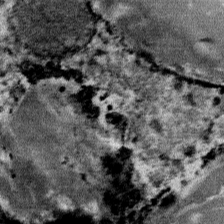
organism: Mouse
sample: Mouse Salivary gland